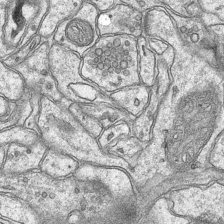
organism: Mouse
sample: CA1 Hippocampus